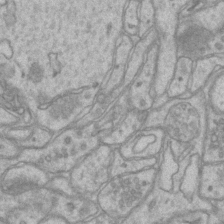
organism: Mouse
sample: CA1 Hippocampus